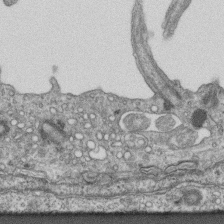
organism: Mouse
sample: Centriole in ependymal cells